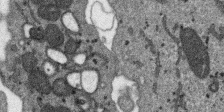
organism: Human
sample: Lung epithelial cells infected with SARS-CoV-2